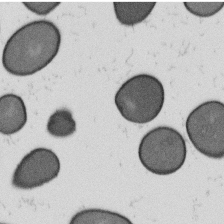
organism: B. subtilis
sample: Bacterial spore